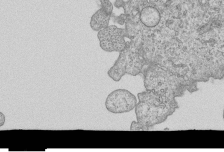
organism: Human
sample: MDA-MB-231 cells